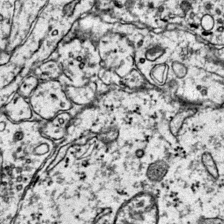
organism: Mouse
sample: Primary visual cortex